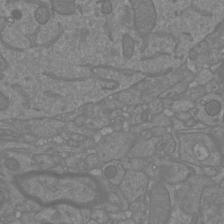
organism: Mouse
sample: Cortical neurons